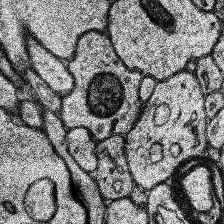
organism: Human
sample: Temporal Lobe